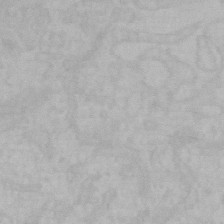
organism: Mouse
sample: Choroid plexus